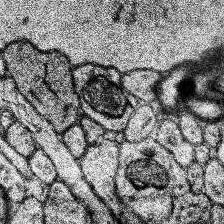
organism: Human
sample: Temporal Lobe